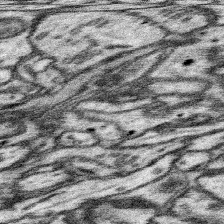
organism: Mouse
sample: Somatosensory cortex neuropil